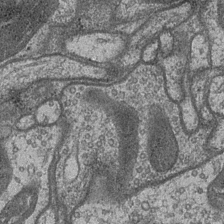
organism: Drosophila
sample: Optic medulla